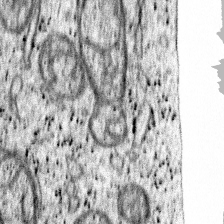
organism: Human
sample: HeLa cells